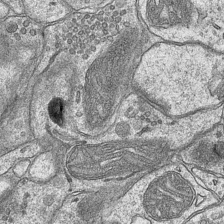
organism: Mouse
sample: CA1 Hippocampus